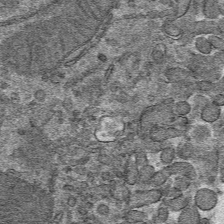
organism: Mouse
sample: Mouse hepatocytes